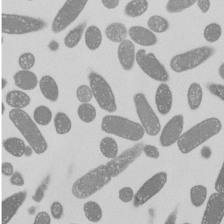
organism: E. coli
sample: Bacterial nucleoid